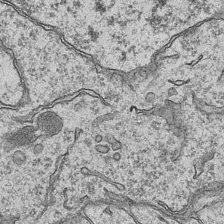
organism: Mouse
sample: CA1 Hippocampus